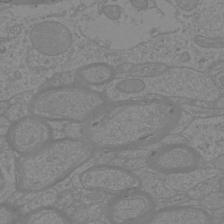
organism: Mouse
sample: Cortical neurons